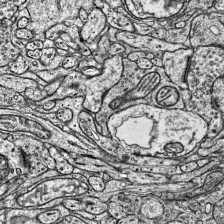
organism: Mouse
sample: Visual Cortex